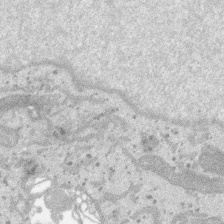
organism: Human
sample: Lung epithelial cells infected with SARS-CoV-2